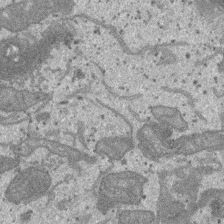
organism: Human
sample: Lung epithelial cells infected with SARS-CoV-2